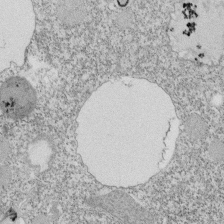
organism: Tetrahymena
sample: Cilia in tetrahymena